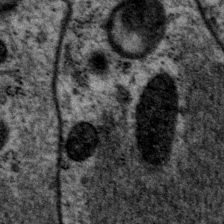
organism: P. pacificus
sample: Pharynx